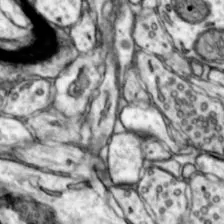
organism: Mouse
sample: Nucleus accumbens